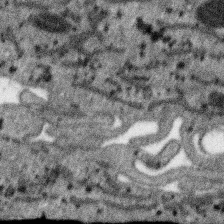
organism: Human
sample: Lung epithelial cells infected with SARS-CoV-2